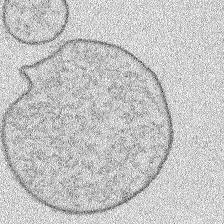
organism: Human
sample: HeLa cells